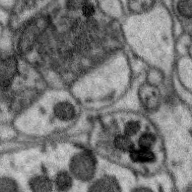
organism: Zebra finch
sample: Brain